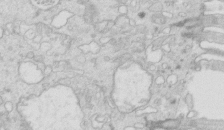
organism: Mouse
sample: Multiciliated cells